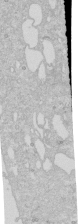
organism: Human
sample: Caco-2 cells